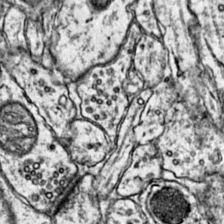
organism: Mouse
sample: Primary visual cortex